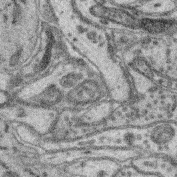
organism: Mouse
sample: Retina